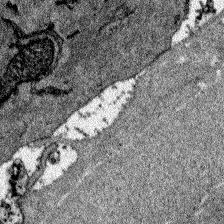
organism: Zebrafish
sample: Larval olfactory bulb